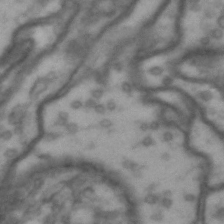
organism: Drosophila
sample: Brain